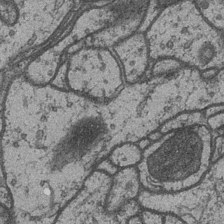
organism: Drosophila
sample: Optic medulla